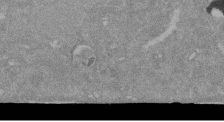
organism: Mouse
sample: ED-1 cell nuclei; centrioles